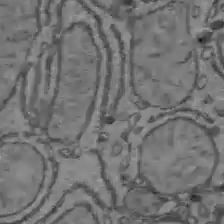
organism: C57BL Mouse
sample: Liver